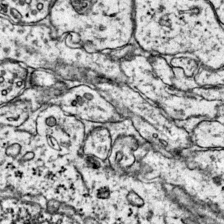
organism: Mouse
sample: Primary visual cortex